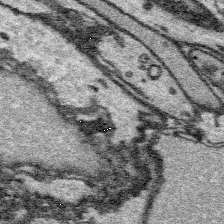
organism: Platynereis dumerilii